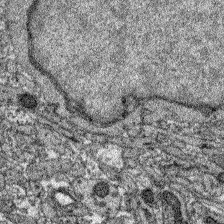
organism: Zebrafish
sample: Larval olfactory bulb